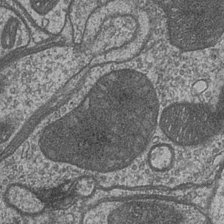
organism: Drosophila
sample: Optic medulla